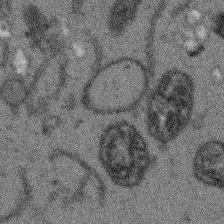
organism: Arabidopsis thaliana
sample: Root tip